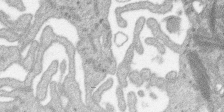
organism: Human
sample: Lung epithelial cells infected with SARS-CoV-2